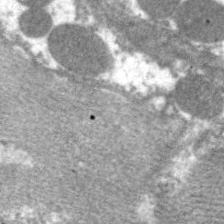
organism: C. elegans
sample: Pharynx